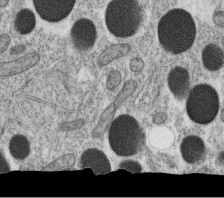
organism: C. elegans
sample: C. elegans oocyte; sperm cells